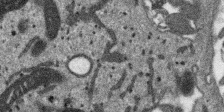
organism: Human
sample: Lung epithelial cells infected with SARS-CoV-2